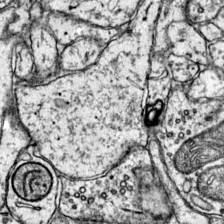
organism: Mouse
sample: Primary visual cortex